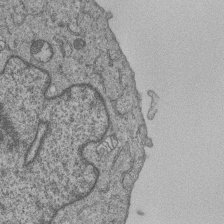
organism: Human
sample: MDA-MB-231 cells